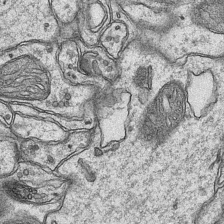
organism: Mouse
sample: CA1 Hippocampus